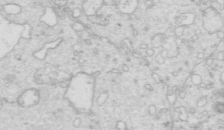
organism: Mouse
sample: Multiciliated cells